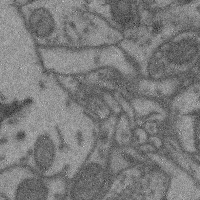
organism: Mouse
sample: Cerebral cortex